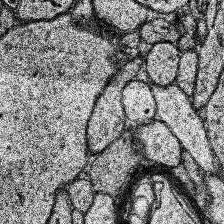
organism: Human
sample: Temporal Lobe